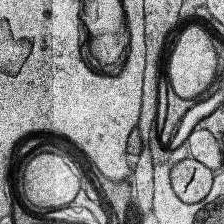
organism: Human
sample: Temporal Lobe